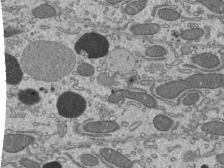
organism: Mouse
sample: Mouse epididymis efferent ductule cilia